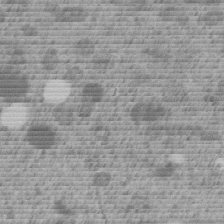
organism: C. elegans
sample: C. elegans embryo early stage